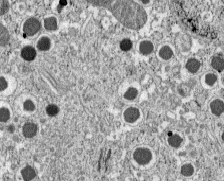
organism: C57BL Mouse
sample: Pancreatic islet